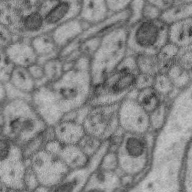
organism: Zebra finch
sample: Brain